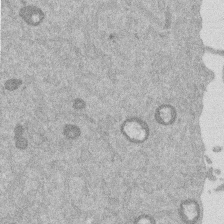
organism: Mouse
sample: Dividing mouse embryo 1 cell stage